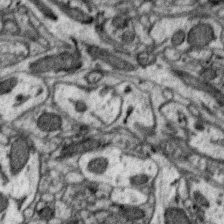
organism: Zebra finch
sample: Brain